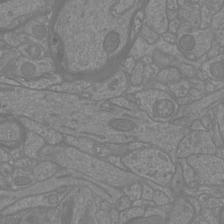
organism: Mouse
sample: Cortical neurons